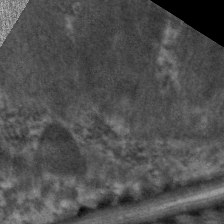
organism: C. elegans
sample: Pharynx